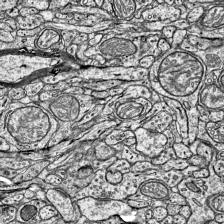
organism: Mouse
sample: Visual Cortex